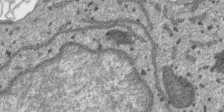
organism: Human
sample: Lung epithelial cells infected with SARS-CoV-2